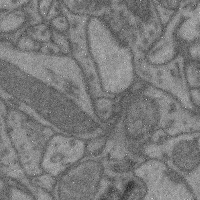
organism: Mouse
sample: Cerebral cortex